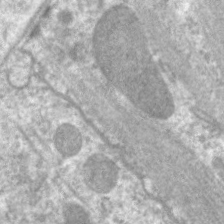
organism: C. elegans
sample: Pharynx